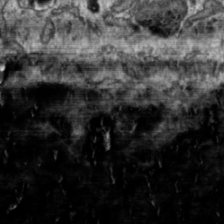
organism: Toxoplasma gondii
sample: Parasites in a vacuole inside a host cell